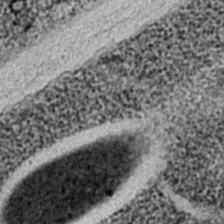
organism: C. elegans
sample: C. elegans embryo